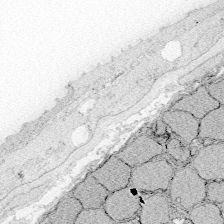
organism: Zebrafish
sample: Whole-Brain